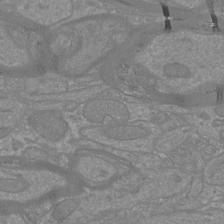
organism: Mouse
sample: Cortical neurons